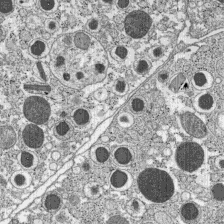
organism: C57BL Mouse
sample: Pancreatic islet